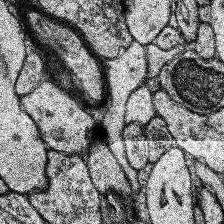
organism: Human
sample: Temporal Lobe